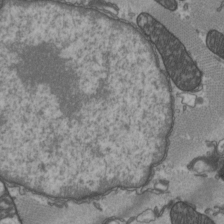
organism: C57BL Mouse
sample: Heart